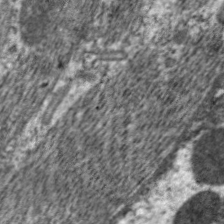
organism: C. elegans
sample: Pharynx